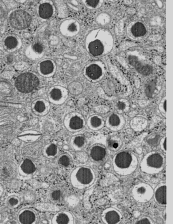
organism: C57BL Mouse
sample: Pancreatic islet